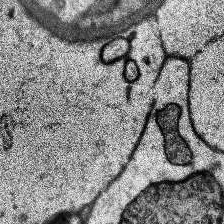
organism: Human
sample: Temporal Lobe